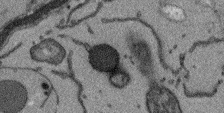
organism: Arabidopsis thaliana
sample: Root tip